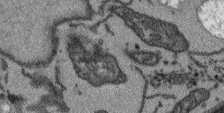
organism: Arabidopsis thaliana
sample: Root tip